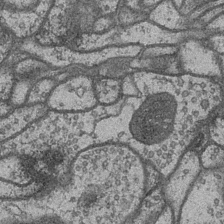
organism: Drosophila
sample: Optic medulla